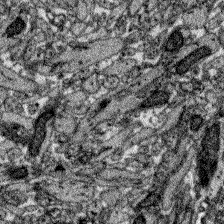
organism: Zebrafish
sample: Larval olfactory bulb